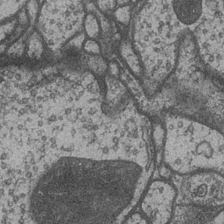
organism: Drosophila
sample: Optic medulla